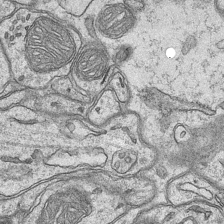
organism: Mouse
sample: CA1 Hippocampus